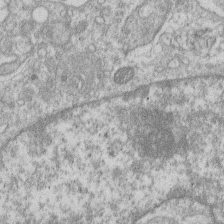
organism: Human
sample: Macrophage cells